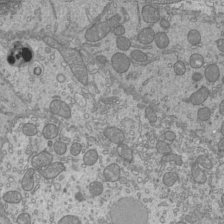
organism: Mouse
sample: Cilia; mouse epididymis